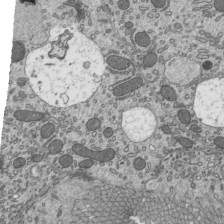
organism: Mouse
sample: Mouse epididymis efferent ductule cilia